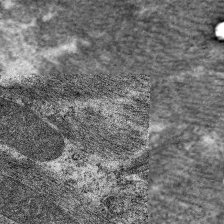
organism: C. elegans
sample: Pharynx